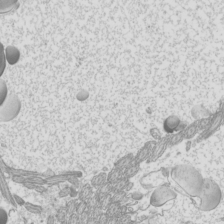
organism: Mouse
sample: Cilia; mouse epididymis